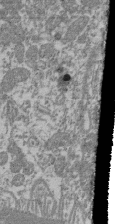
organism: Mouse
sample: Glomerulus